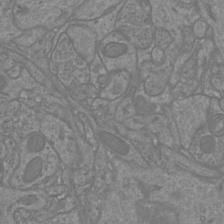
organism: Mouse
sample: Cortical neurons